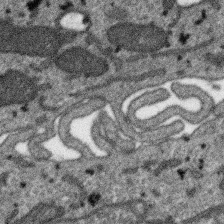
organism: Human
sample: Lung epithelial cells infected with SARS-CoV-2